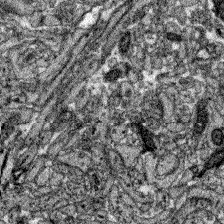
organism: Zebrafish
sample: Larval olfactory bulb